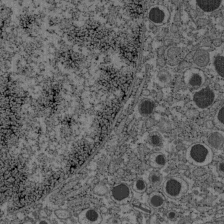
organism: C57BL Mouse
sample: Pancreatic islet